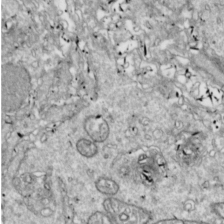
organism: Drosophila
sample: Cell division; meiosis; drosophila spermatocytes